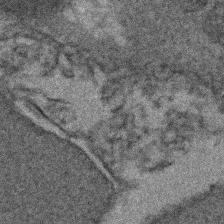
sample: Kidney